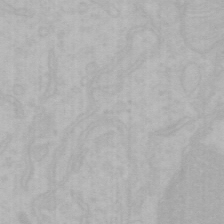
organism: Mouse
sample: Choroid plexus